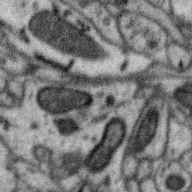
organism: Zebra finch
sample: Brain